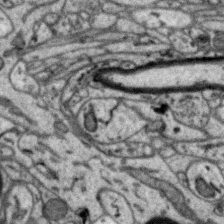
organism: Zebra finch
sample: Brain